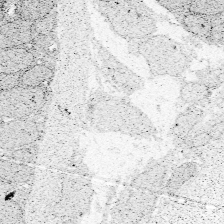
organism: Zebrafish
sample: Whole-Brain